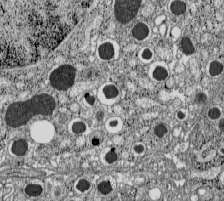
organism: C57BL Mouse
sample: Pancreatic islet